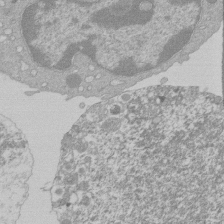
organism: Mouse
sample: Activated Pmel transgenic CD8+ T Cells